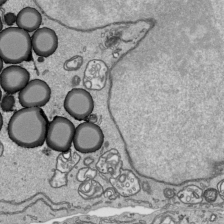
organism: Human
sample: Mitochondria in HCT116 cells